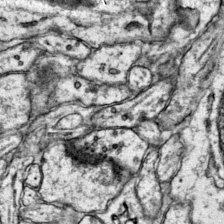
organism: Mouse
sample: Primary visual cortex